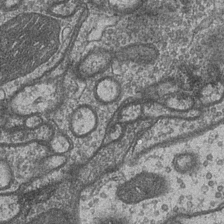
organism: Drosophila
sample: Optic medulla